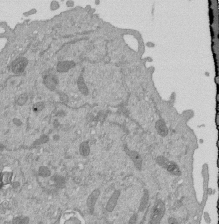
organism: Mouse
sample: ED-1 cell nuclei; centrioles